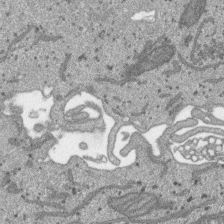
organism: Human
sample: Lung epithelial cells infected with SARS-CoV-2